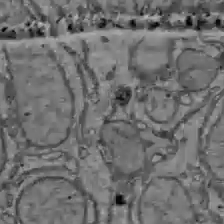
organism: C57BL Mouse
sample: Liver